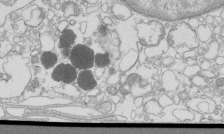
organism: Mouse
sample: Macrophages